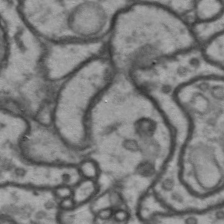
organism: Drosophila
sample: Brain